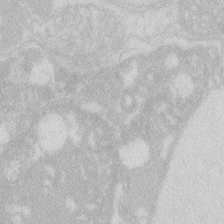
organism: Zebrafish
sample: Macrophage